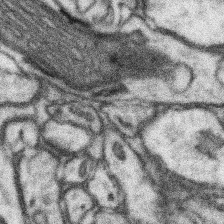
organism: Mouse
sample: Somatosensory cortex neuropil